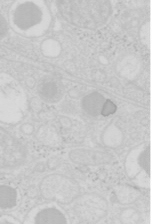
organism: Mouse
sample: Pancreas